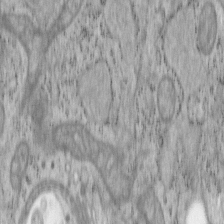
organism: Human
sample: HeLa cells